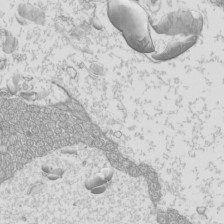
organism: Mouse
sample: Cilia; mouse epididymis